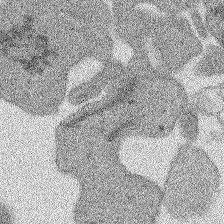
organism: Human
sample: HeLa cells